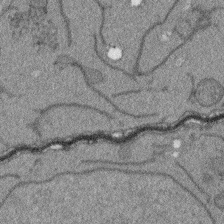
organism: Arabidopsis thaliana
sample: Root tip